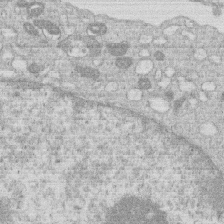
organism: Human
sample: Macrophage cells